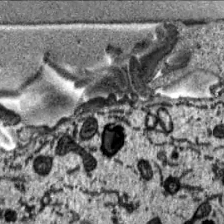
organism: Human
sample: HeLa cells